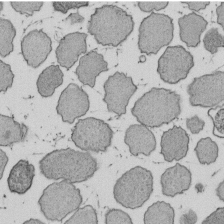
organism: E. coli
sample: Bacterial nucleoid